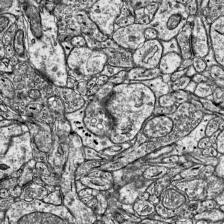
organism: Mouse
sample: Visual Cortex